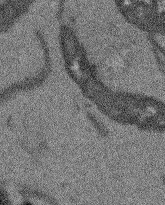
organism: Arabidopsis thaliana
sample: Root tip